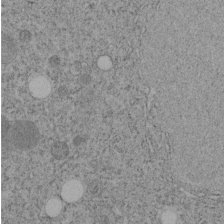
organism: C. elegans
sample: C. elegans embryo early stage